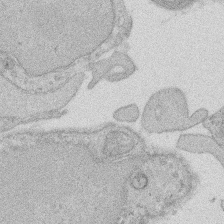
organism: Rat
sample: Salivary granule